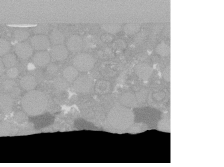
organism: C. elegans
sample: C. elegans oocyte; sperm cells